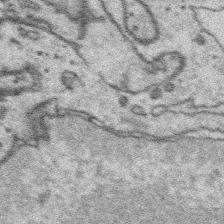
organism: Platynereis dumerilii